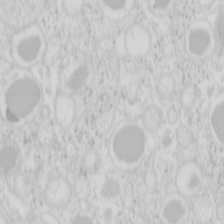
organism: Mouse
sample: Pancreas